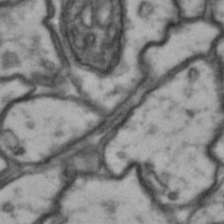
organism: Drosophila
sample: Brain